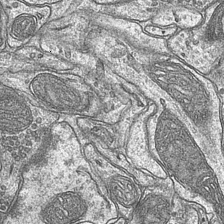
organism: Mouse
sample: CA1 Hippocampus